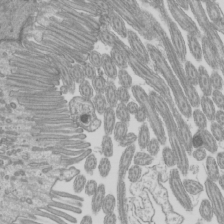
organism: Mouse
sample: Cilia; mouse epididymis